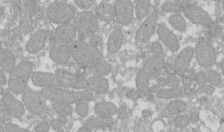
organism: Xenopus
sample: Cilia; centrioles in frog embryo cells